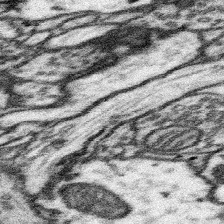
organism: Mouse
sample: Somatosensory cortex neuropil